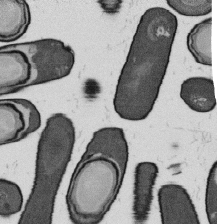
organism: B. subtilis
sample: Bacterial spore